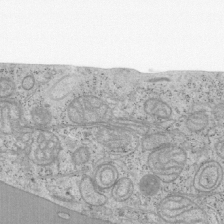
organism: Human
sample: HeLa cells